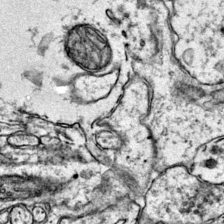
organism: Mouse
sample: Primary visual cortex